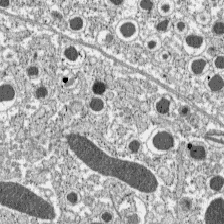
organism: C57BL Mouse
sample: Pancreatic islet